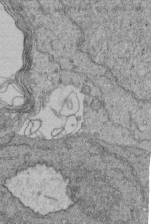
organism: Human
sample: Retinal organoid Rod and Cone cells